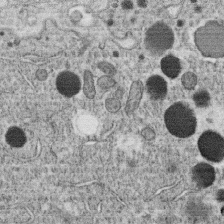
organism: C. elegans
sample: C. elegans oocyte; sperm cells